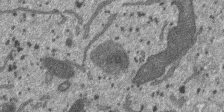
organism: Human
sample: Lung epithelial cells infected with SARS-CoV-2